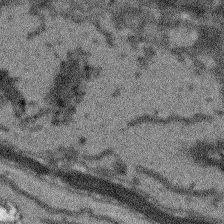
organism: Arabidopsis thaliana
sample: Root tip